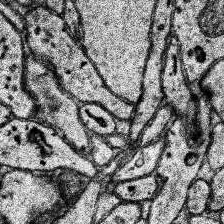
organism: Human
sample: Temporal Lobe